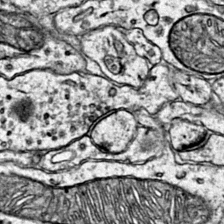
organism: Mouse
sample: Primary visual cortex